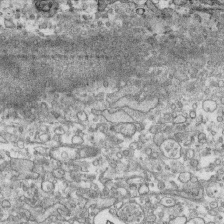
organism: Human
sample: CRL-1474